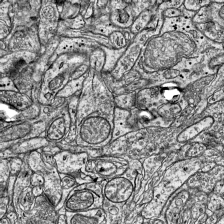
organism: Mouse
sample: Visual Cortex